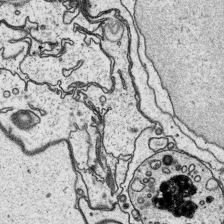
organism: Platynereis dumerilii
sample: Parapodia